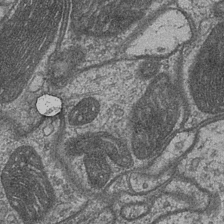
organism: Drosophila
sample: Optic medulla